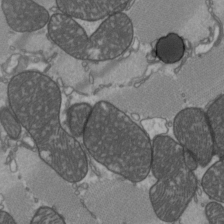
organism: C57BL Mouse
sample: Heart